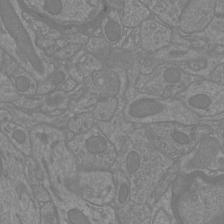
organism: Mouse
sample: Cortical neurons